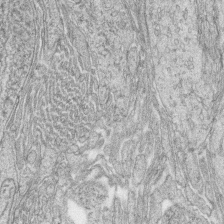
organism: Zebrafish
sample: synaptic ribbons in rod cells and cone cells